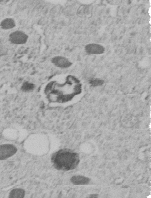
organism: C. elegans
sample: C. elegans embryo early stage